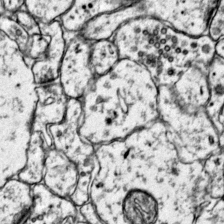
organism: Mouse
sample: Primary visual cortex